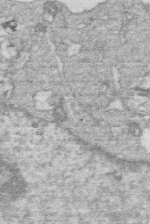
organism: Human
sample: Macrophage cells